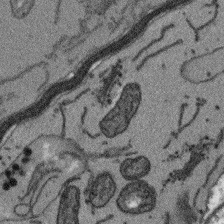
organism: Arabidopsis thaliana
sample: Root tip